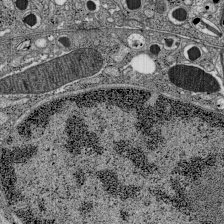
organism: C57BL Mouse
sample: Pancreatic islet